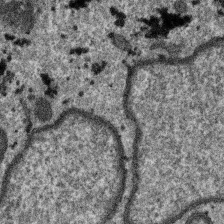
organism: Human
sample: Lung epithelial cells infected with SARS-CoV-2